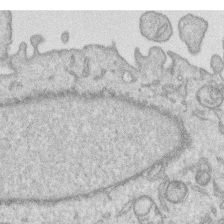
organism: Human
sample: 1205lu cells